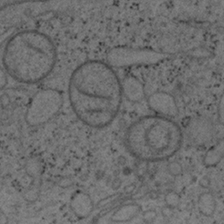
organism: Human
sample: HeLa cells